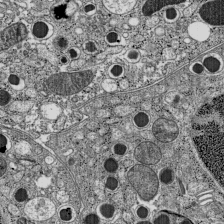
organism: C57BL Mouse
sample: Pancreatic islet